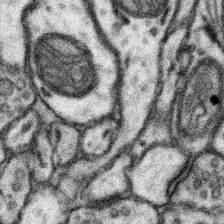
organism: Mouse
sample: Somatosensory cortex neuropil